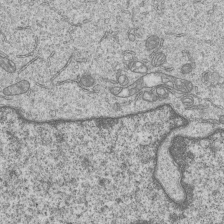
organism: Human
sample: MDA-MB-231 cells